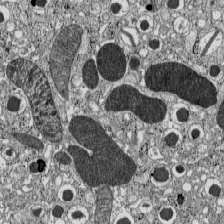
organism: C57BL Mouse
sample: Pancreatic islet